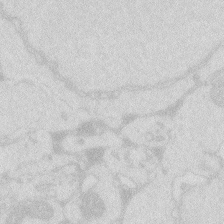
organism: Zebrafish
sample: Macrophage